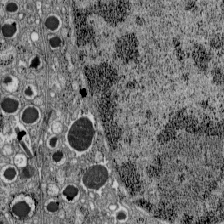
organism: C57BL Mouse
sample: Pancreatic islet